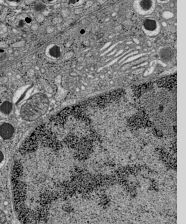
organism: C57BL Mouse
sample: Pancreatic islet